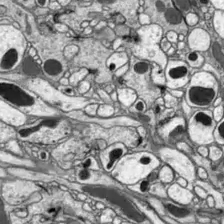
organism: Drosophila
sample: Optic lobe